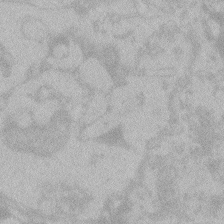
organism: Zebrafish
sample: Macrophage infected with Toxoplasma gondii